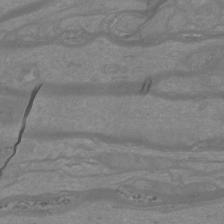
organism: Mouse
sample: Cortical neurons